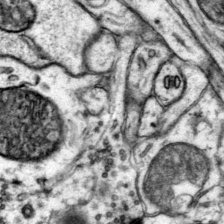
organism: Mouse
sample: Primary visual cortex